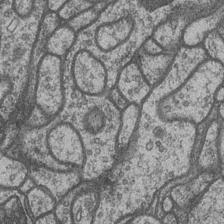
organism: Drosophila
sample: Optic medulla